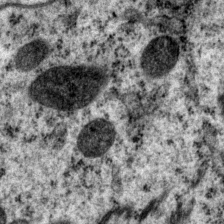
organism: P. pacificus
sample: Pharynx